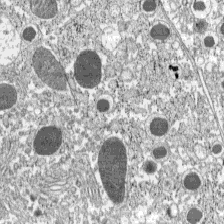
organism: C57BL Mouse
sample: Pancreatic islet